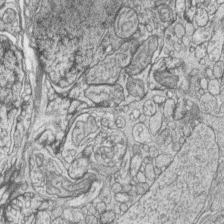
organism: Zebrafish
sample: synaptic ribbons in rod cells and cone cells